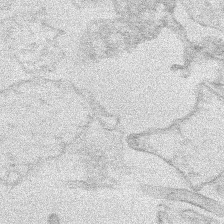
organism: Human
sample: Mitochondria in HCT116 cells